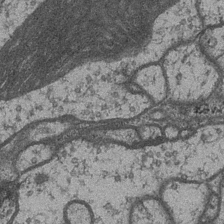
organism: Drosophila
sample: Optic medulla